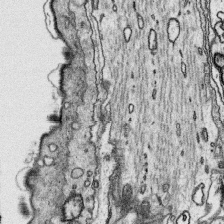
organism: Platynereis dumerilii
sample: Parapodia